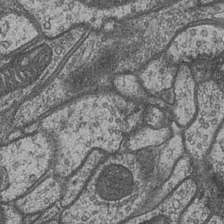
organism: Drosophila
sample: Optic medulla